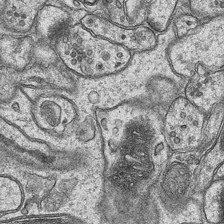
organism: Mouse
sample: CA1 Hippocampus